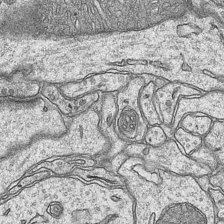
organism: Mouse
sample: CA1 Hippocampus